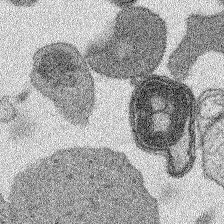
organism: Human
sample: HeLa cells